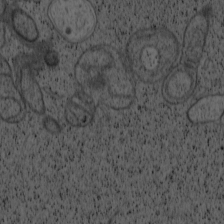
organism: African green monkey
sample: COS-7 cells